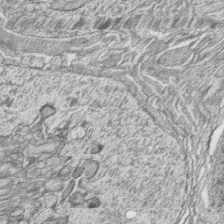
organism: Zebrafish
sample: synaptic ribbons in rod cells and cone cells